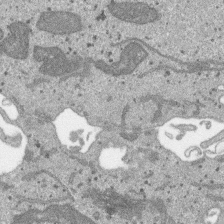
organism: Human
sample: Lung epithelial cells infected with SARS-CoV-2